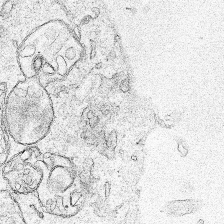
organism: Human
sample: Mitochondria in HCT116 cells